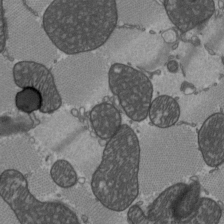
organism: C57BL Mouse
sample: Heart